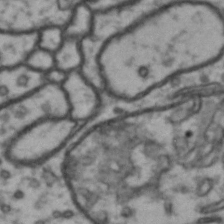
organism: Drosophila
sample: Brain